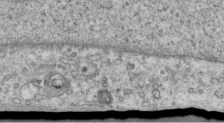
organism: Human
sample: Centriole in RPE cells